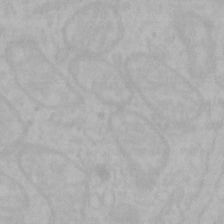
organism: Mouse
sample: Choroid plexus